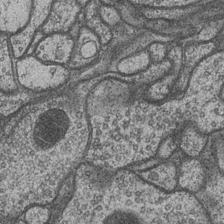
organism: Drosophila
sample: Optic medulla